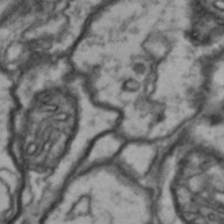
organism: Drosophila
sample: Brain